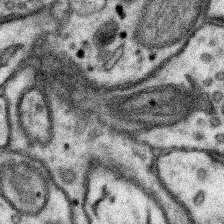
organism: Mouse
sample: Somatosensory cortex neuropil